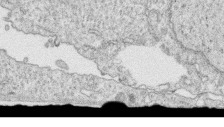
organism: Human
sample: HeLa cell HIV synapse